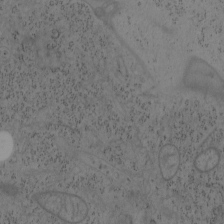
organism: Mouse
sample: OT-I killer T cells with ID8 ovarian cancer cells